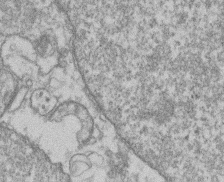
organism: Mouse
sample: T cell stromal cell synapse